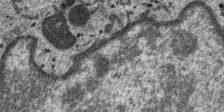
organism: Human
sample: Lung epithelial cells infected with SARS-CoV-2